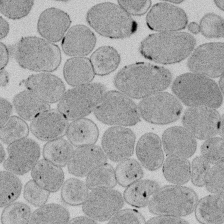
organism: E. coli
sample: Bacterial nucleoid